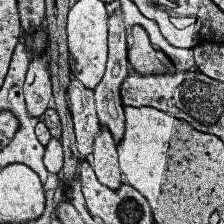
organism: Human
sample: Temporal Lobe